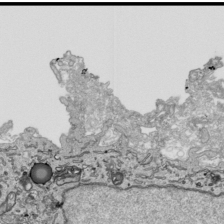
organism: Human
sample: Mitochondria in HCT116 cells